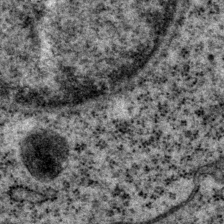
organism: P. pacificus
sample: Pharynx